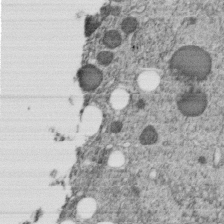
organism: C. elegans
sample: C. elegans embryo early stage